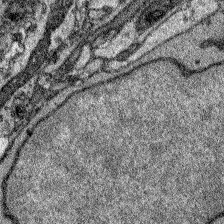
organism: Zebrafish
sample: Larval olfactory bulb